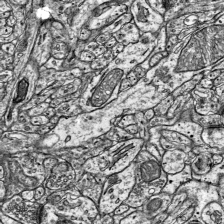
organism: Mouse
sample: Visual Cortex